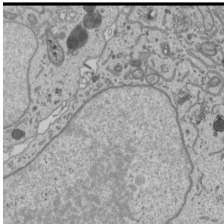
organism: Human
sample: Mitochondria in U2OS cells